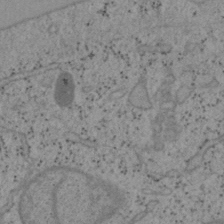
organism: Human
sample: HeLa cells